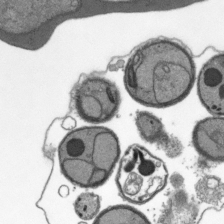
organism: Plasmodium falciparum